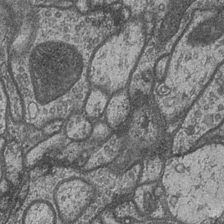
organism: Drosophila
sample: Optic medulla